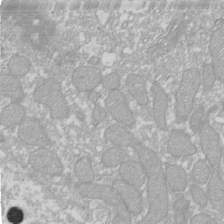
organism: Xenopus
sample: Cilia; centrioles in frog embryo cells